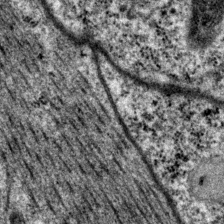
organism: P. pacificus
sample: Pharynx